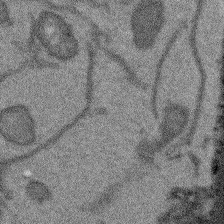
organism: Arabidopsis thaliana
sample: Root tip